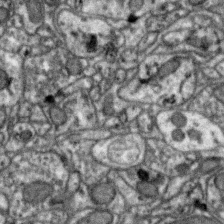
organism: Zebra finch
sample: Brain